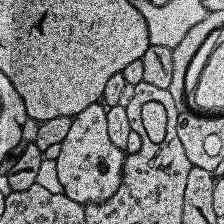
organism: Human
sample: Temporal Lobe